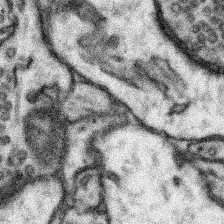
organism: Mouse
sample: Somatosensory cortex neuropil